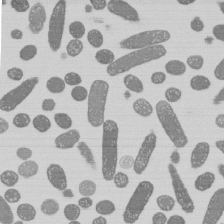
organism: E. coli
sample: Bacterial nucleoid